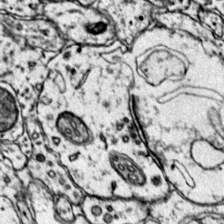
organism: Mouse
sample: Primary visual cortex